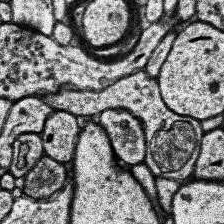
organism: Human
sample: Temporal Lobe